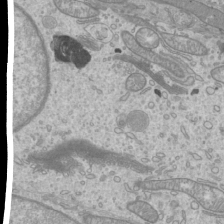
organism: Mouse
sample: Cilia; mouse epididymis